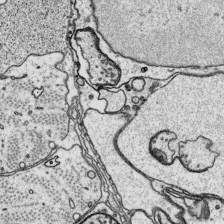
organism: Platynereis dumerilii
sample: Parapodia